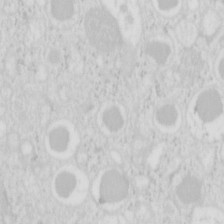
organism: Mouse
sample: Pancreas